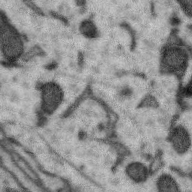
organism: Zebra finch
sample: Brain